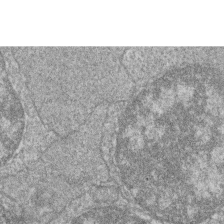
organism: Zebrafish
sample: Cilia; retinal pigment epithelium